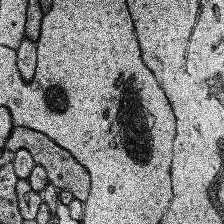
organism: Human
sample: Temporal Lobe